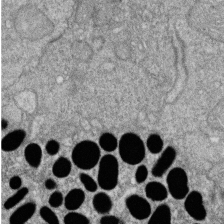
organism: Zebrafish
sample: Cilia; retinal pigment epithelium